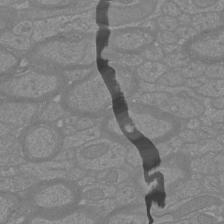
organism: Mouse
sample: Cortical neurons